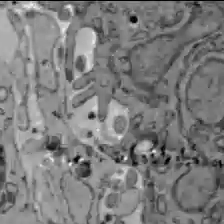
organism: C57BL Mouse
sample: Liver